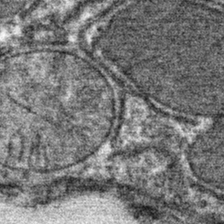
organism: Mouse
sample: Mouse hepatocytes